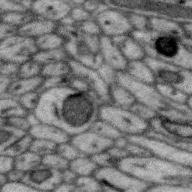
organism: Zebra finch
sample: Brain